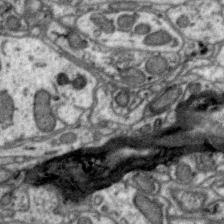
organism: Zebra finch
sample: Brain